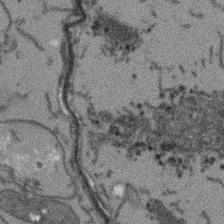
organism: Arabidopsis thaliana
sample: Root tip